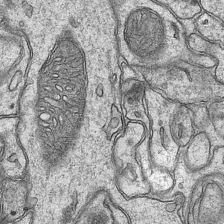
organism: Mouse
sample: CA1 Hippocampus